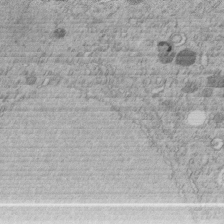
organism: C. elegans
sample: C. elegans embryo early stage